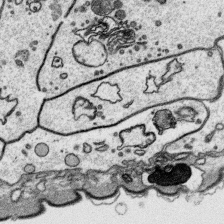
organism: Platynereis dumerilii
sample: Parapodia